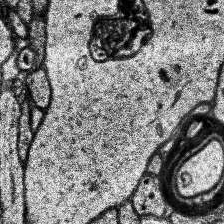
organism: Human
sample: Temporal Lobe